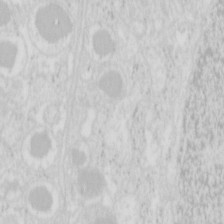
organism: Mouse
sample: Pancreas